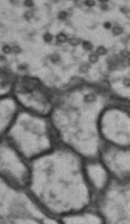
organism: Drosophila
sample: Brain